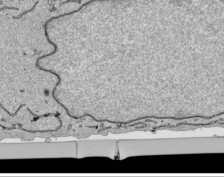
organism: Human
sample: Mitochondria in HCT116 cells